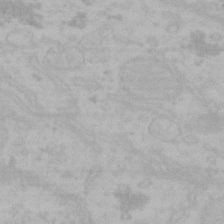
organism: Mouse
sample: Choroid plexus